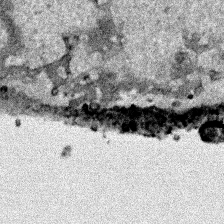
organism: Human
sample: Mitochondria in HCT116 cells